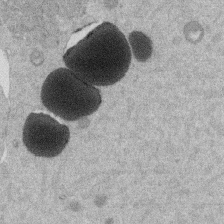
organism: Mouse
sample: Dividing mouse embryo 1 cell stage